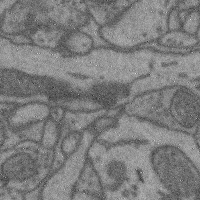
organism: Mouse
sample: Cerebral cortex